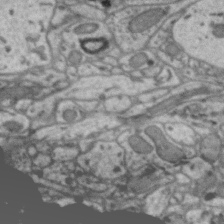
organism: Zebra finch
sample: Brain